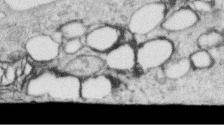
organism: Human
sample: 1205lu cells